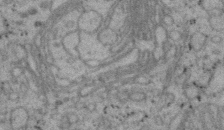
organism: Human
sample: HeLa cells